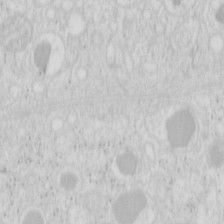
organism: Mouse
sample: Pancreas